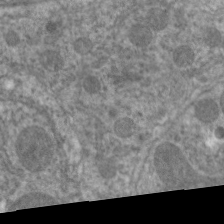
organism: C. elegans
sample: Pharynx